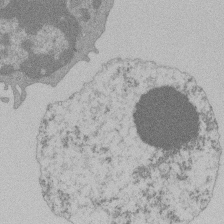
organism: Mouse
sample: Activated Pmel transgenic CD8+ T Cells